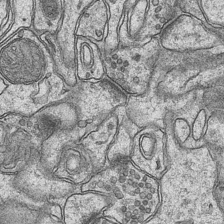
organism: Mouse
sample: CA1 Hippocampus